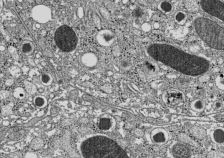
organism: C57BL Mouse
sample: Pancreatic islet